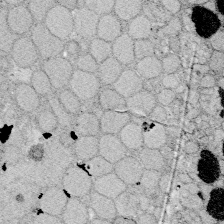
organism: Zebrafish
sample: Whole-Brain